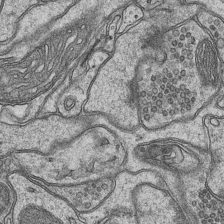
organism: Mouse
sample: CA1 Hippocampus